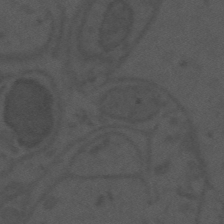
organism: Mouse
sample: Suprachiasmatic nucleus